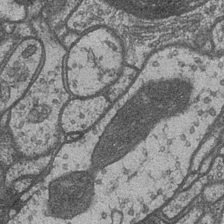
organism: Drosophila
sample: Optic medulla